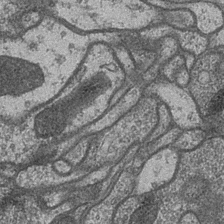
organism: Drosophila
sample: Optic medulla